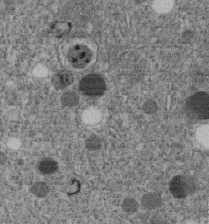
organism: C. elegans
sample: C. elegans embryo early stage